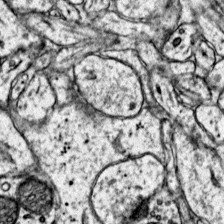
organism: Mouse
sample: Primary visual cortex